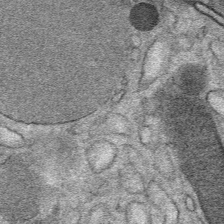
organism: Mouse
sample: Mouse Salivary gland